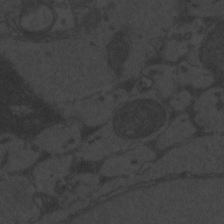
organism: Zebrafish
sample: Macrophage infected with Toxoplasma gondii